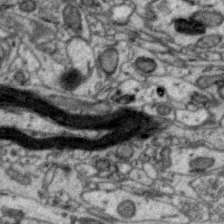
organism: Zebra finch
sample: Brain